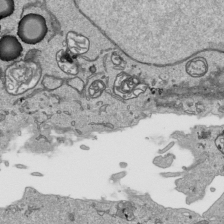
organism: Human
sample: Mitochondria in HCT116 cells